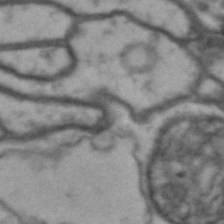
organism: Drosophila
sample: Brain